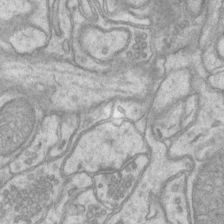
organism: Mouse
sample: CA1 Hippocampus